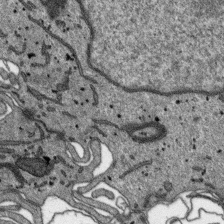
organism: Human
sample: Lung epithelial cells, uninfected (mock) control